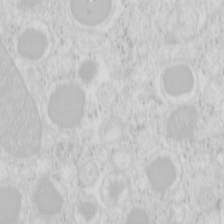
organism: Mouse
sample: Pancreas